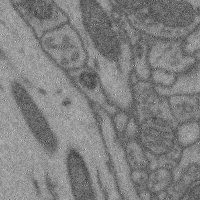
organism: Mouse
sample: Cerebral cortex